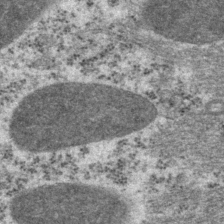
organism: P. pacificus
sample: Pharynx